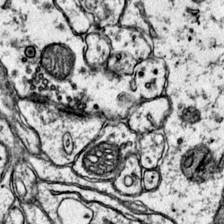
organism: Mouse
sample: Primary visual cortex